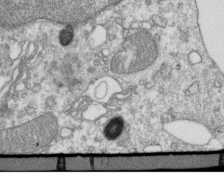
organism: Mouse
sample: Activated OT-1 CD8+ T cells